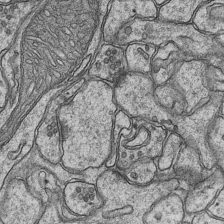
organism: Mouse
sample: CA1 Hippocampus